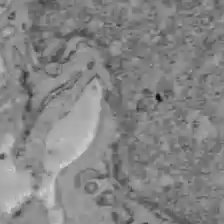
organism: C57BL Mouse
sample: Liver